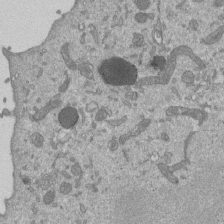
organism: Mouse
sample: ED-1 cell nuclei; centrioles